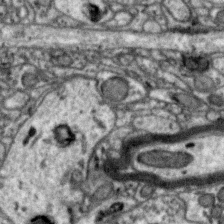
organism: Zebra finch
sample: Brain